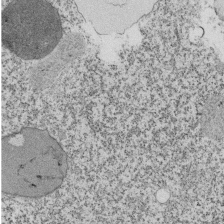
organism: Tetrahymena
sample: Cilia in tetrahymena